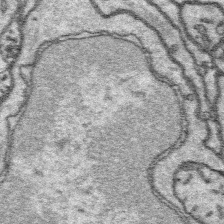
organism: Platynereis dumerilii